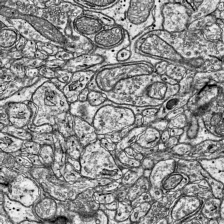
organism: Mouse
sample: Visual Cortex